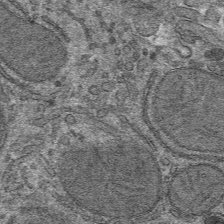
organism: Mouse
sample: Mouse hepatocytes